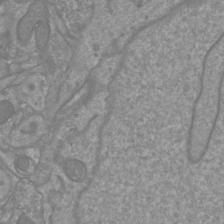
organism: Mouse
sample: Cortical neurons